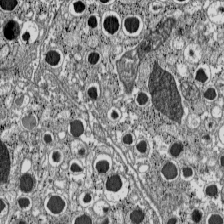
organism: C57BL Mouse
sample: Pancreatic islet